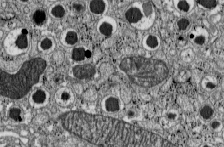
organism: C57BL Mouse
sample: Pancreatic islet